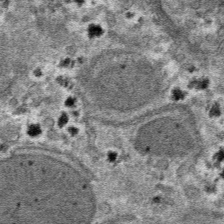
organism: Mouse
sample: Mouse hepatocytes